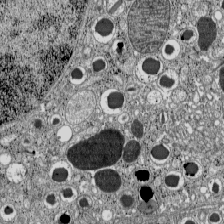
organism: C57BL Mouse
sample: Pancreatic islet